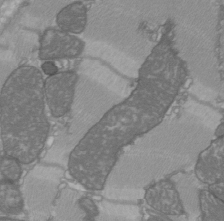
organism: C57BL Mouse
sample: Heart